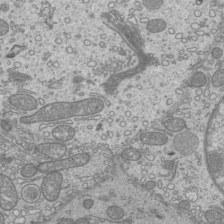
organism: Mouse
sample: Cilia; mouse epididymis